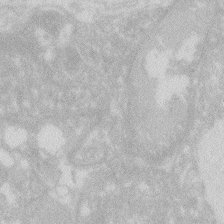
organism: Zebrafish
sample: Macrophage